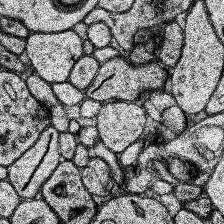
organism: Human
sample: Temporal Lobe